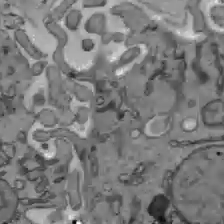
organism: C57BL Mouse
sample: Liver